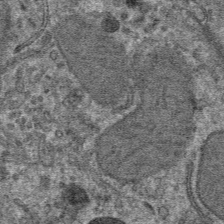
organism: Mouse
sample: Mouse hepatocytes